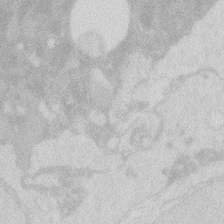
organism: Zebrafish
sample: Macrophage